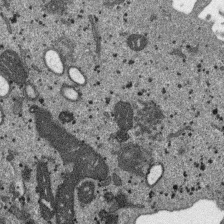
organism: Human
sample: Lung epithelial cells infected with SARS-CoV-2